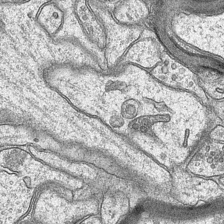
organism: Mouse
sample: CA1 Hippocampus